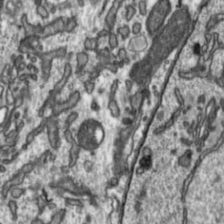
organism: Toxoplasma gondii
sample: Parasites in a vacuole inside a host cell